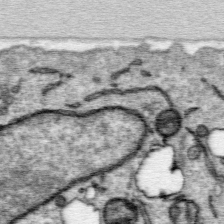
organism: Human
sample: HeLa cells